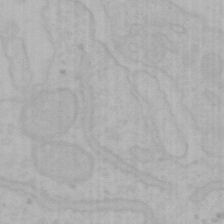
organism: Mouse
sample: Choroid plexus